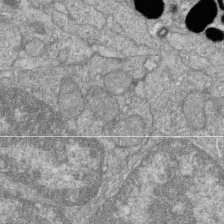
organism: Zebrafish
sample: Cilia; retinal pigment epithelium